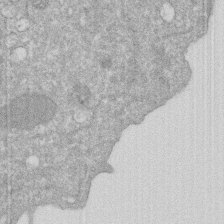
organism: Human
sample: HIV infected U937 cells